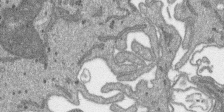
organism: Human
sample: Lung epithelial cells infected with SARS-CoV-2